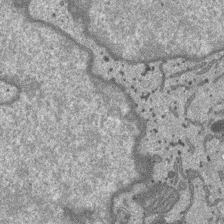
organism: Human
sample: Lung epithelial cells infected with SARS-CoV-2